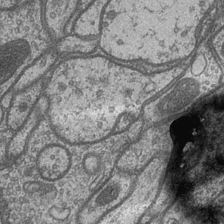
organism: Drosophila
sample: Optic medulla